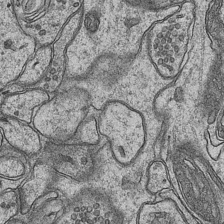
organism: Mouse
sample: CA1 Hippocampus